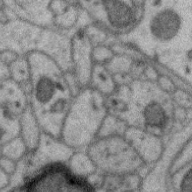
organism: Zebra finch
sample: Brain